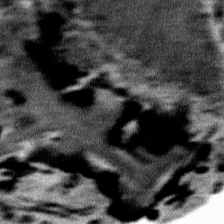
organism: Mouse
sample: Mouse Salivary gland